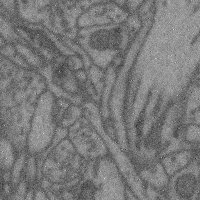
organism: Mouse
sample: Cerebral cortex